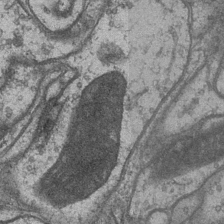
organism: Drosophila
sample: Optic medulla